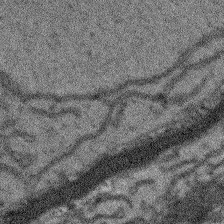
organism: Arabidopsis thaliana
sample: Root tip